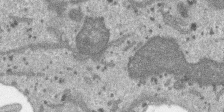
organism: Human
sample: Lung epithelial cells infected with SARS-CoV-2